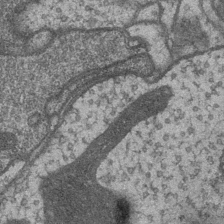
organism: Drosophila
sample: Optic medulla